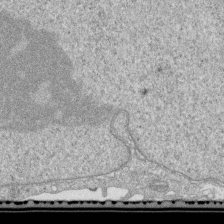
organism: Human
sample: HeLa cell HIV synapse